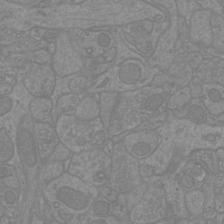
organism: Mouse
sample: Cortical neurons